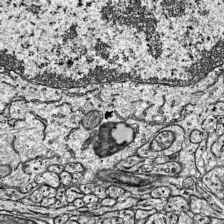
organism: Mouse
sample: Visual Cortex